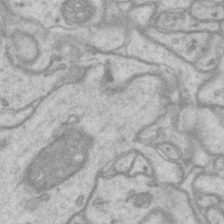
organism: Mouse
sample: CA1 Hippocampus